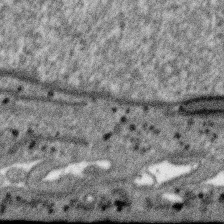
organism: Human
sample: Lung epithelial cells infected with SARS-CoV-2